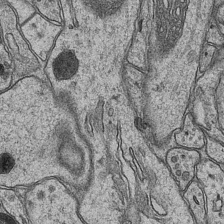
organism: Mouse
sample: CA1 Hippocampus